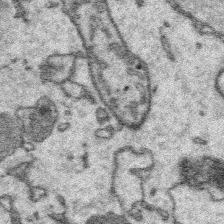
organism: Platynereis dumerilii